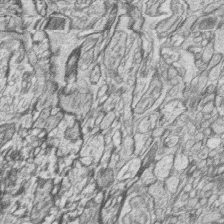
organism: Zebrafish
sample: synaptic ribbons in rod cells and cone cells